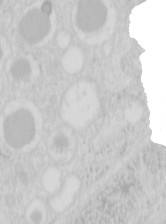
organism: Mouse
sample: Pancreas